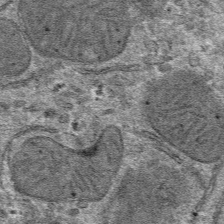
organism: Mouse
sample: Mouse hepatocytes